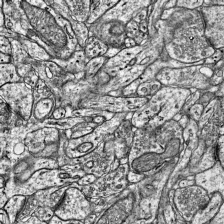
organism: Mouse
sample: Visual Cortex